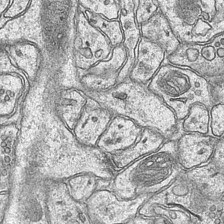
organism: Mouse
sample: CA1 Hippocampus